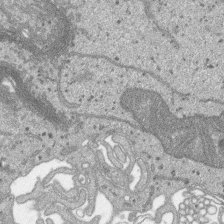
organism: Human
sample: Lung epithelial cells infected with SARS-CoV-2